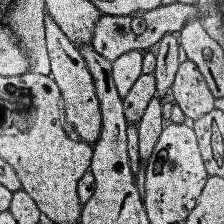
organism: Human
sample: Temporal Lobe